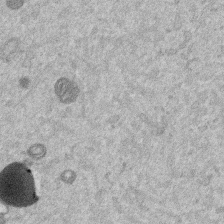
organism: Mouse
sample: Dividing mouse embryo 1 cell stage